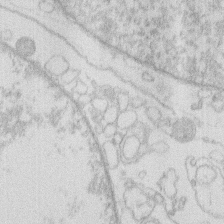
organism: Human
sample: Macrophage cells